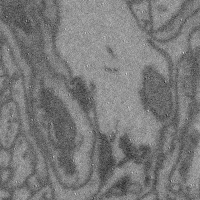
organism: Mouse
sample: Cerebral cortex